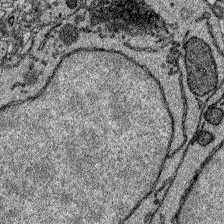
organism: Zebrafish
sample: Larval olfactory bulb